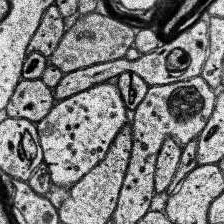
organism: Human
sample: Temporal Lobe